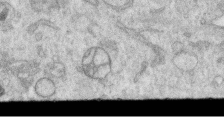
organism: Human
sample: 1205lu cells